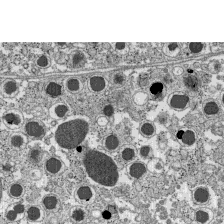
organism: C57BL Mouse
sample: Pancreatic islet